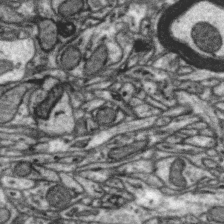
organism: Zebra finch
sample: Brain